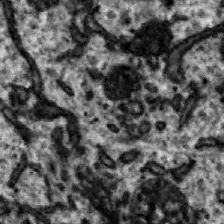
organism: Human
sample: HeLa cells